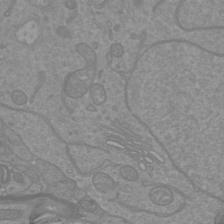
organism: Mouse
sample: Cortical neurons